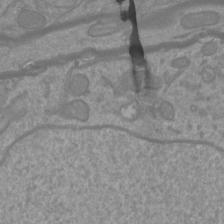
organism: Mouse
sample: Cortical neurons